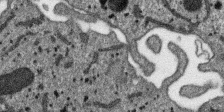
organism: Human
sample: Lung epithelial cells infected with SARS-CoV-2